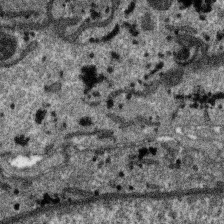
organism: Human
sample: Lung epithelial cells infected with SARS-CoV-2